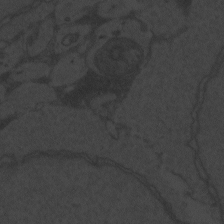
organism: Zebrafish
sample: Macrophage infected with Toxoplasma gondii